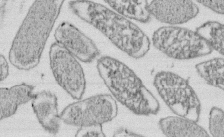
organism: E. coli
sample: Bacterial nucleoid